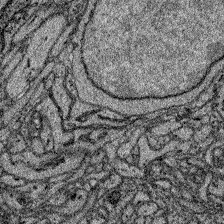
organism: Zebrafish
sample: Larval olfactory bulb